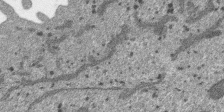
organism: Human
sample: Lung epithelial cells infected with SARS-CoV-2